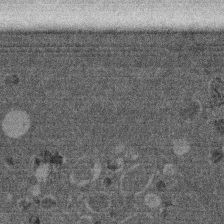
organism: Mouse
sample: Dividing mouse embryo 1 cell stage